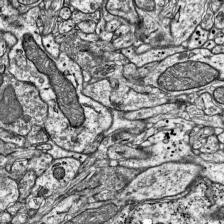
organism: Mouse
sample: Visual Cortex